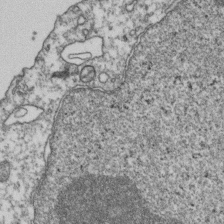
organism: Human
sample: Activated Jurkat CD4+ T cells